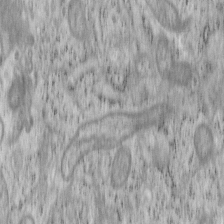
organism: Human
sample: HeLa cells